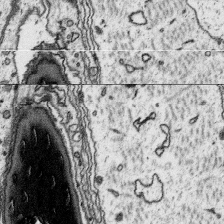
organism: Platynereis dumerilii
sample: Parapodia